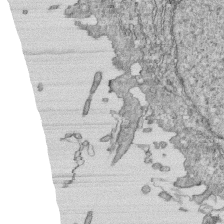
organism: Human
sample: HeLa cell HIV synapse